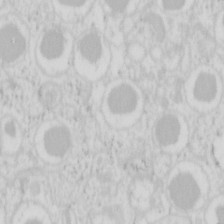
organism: Mouse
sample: Pancreas